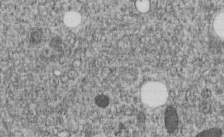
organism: C. elegans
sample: C. elegans embryo early stage